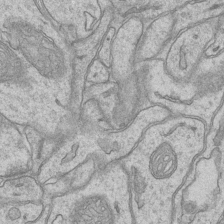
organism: Mouse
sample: CA1 Hippocampus